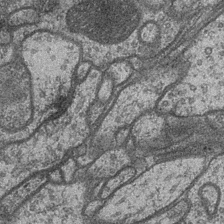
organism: Drosophila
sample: Optic medulla